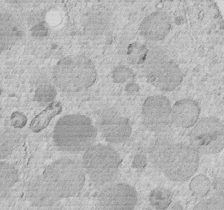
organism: C. elegans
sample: C. elegans embryo early stage